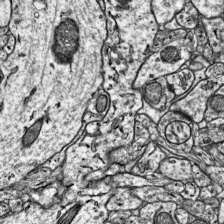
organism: Mouse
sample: Visual Cortex